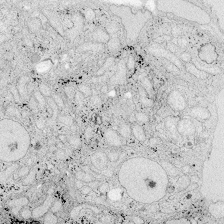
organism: Zebrafish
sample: Whole-Brain